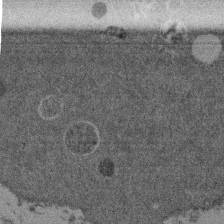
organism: Mouse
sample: Dividing mouse embryo 1 cell stage